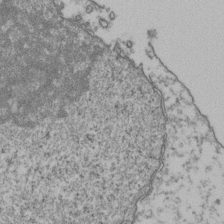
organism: Human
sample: Activated Jurkat CD4+ T cells